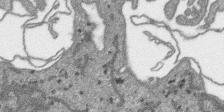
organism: Human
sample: Lung epithelial cells infected with SARS-CoV-2